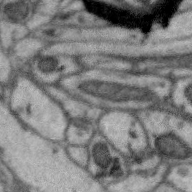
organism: Zebra finch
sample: Brain